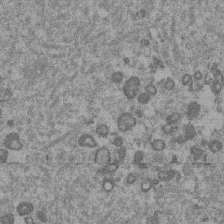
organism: Mouse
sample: Dividing mouse embryo 1 cell stage